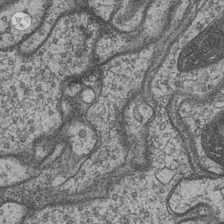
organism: Drosophila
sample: Optic medulla